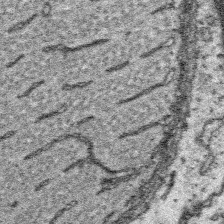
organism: Platynereis dumerilii